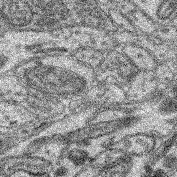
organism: Mouse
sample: Retina